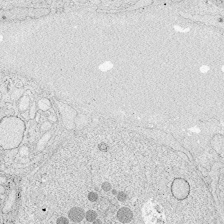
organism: Zebrafish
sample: Whole-Brain